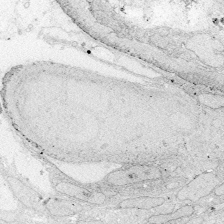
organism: Zebrafish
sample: Whole-Brain